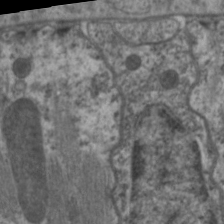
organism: C. elegans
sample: Pharynx